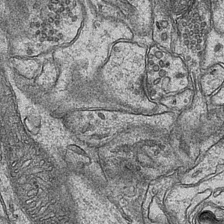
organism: Mouse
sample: CA1 Hippocampus